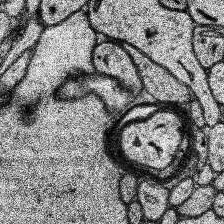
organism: Human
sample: Temporal Lobe